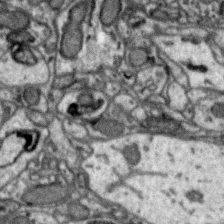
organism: Zebra finch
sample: Brain